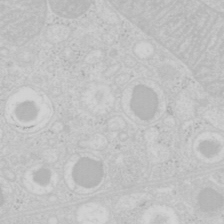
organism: Mouse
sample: Pancreas